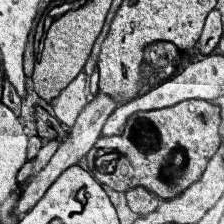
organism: Human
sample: Temporal Lobe